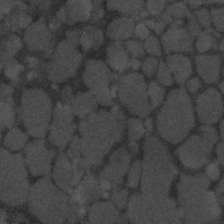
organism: C. elegans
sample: C. elegans embryo